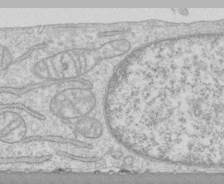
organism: Human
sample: CRL-1474